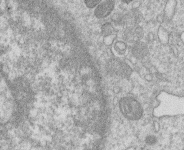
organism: Human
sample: Macrophage cells